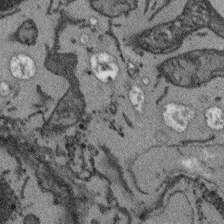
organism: Arabidopsis thaliana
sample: Root tip